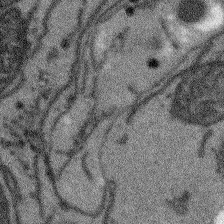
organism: Arabidopsis thaliana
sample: Root tip